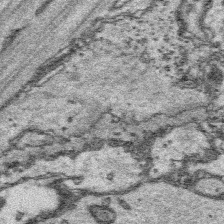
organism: Platynereis dumerilii